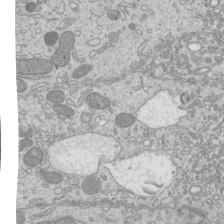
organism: Mouse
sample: Cilia; mouse epididymis